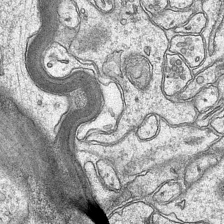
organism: Mouse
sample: CA1 Hippocampus